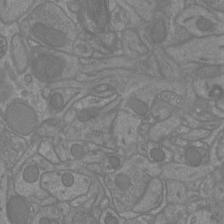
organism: Mouse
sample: Cortical neurons